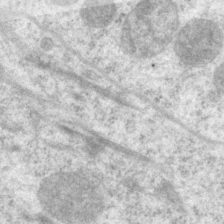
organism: P. pacificus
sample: Pharynx